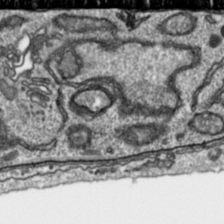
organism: Toxoplasma gondii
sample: Parasites in a vacuole inside a host cell